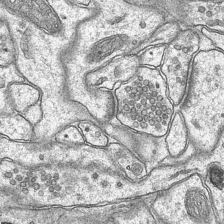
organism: Mouse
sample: CA1 Hippocampus